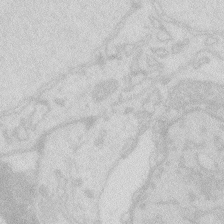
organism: Zebrafish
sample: Macrophage